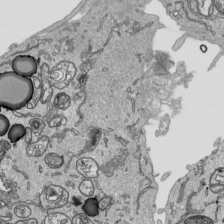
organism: Human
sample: Mitochondria in HCT116 cells